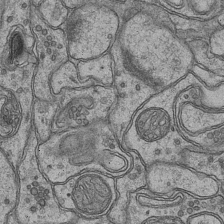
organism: Mouse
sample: CA1 Hippocampus